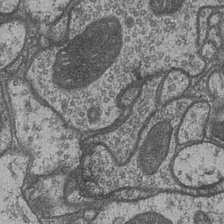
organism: Drosophila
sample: Optic medulla